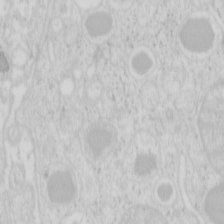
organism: Mouse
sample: Pancreas